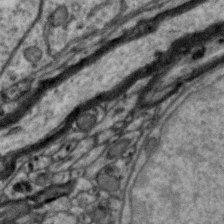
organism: Zebra finch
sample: Brain